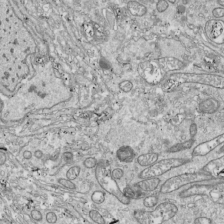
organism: Drosophila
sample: Cell division; meiosis; drosophila spermatocytes